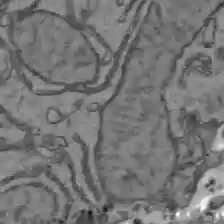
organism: C57BL Mouse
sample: Liver